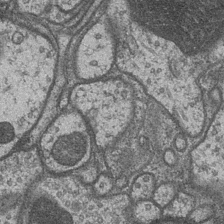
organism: Drosophila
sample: Optic medulla